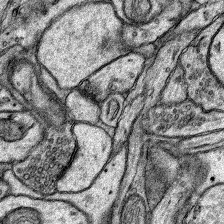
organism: Rat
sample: Hippocampus